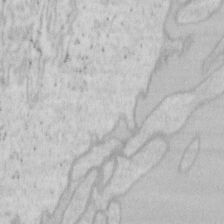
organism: Human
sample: HeLa cells